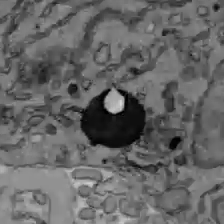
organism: C57BL Mouse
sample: Liver